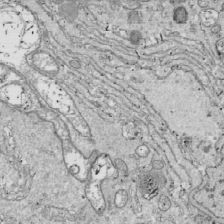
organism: Drosophila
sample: Cell division; meiosis; drosophila spermatocytes